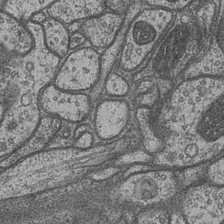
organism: Drosophila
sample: Optic medulla